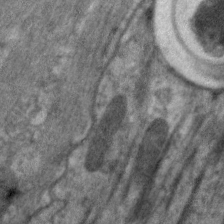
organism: C. elegans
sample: Pharynx